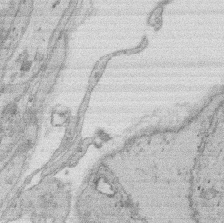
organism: Rat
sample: Salivary granule